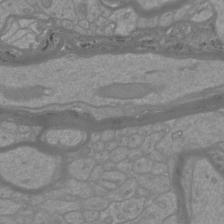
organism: Mouse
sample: Cortical neurons